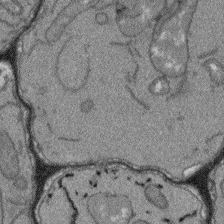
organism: Arabidopsis thaliana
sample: Root tip